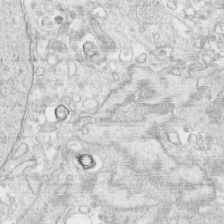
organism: Human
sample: CRL-1474